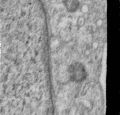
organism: Human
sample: Centriole in RPE cells